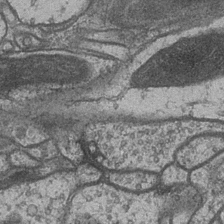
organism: Drosophila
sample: Optic medulla